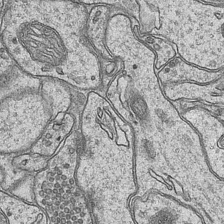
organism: Mouse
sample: CA1 Hippocampus